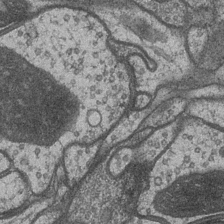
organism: Drosophila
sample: Optic medulla